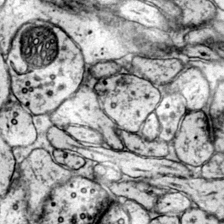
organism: Mouse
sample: Primary visual cortex